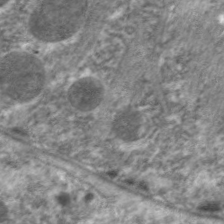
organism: C. elegans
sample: Pharynx